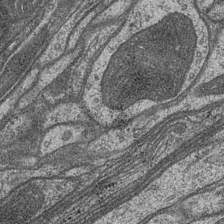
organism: Drosophila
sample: Optic medulla